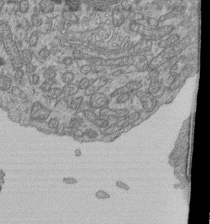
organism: Human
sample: Retinal organoid Rod and Cone cells